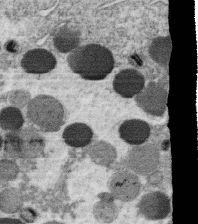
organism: C. elegans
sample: C. elegans oocyte; sperm cells